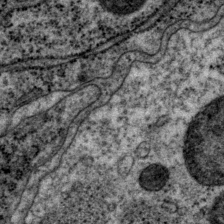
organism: P. pacificus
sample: Pharynx